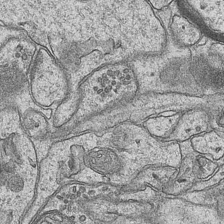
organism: Mouse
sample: CA1 Hippocampus